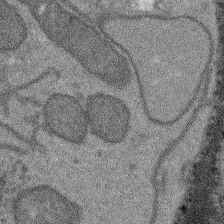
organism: Arabidopsis thaliana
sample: Root tip